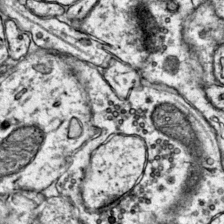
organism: Mouse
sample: Primary visual cortex